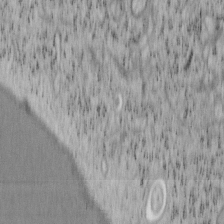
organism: Human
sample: HeLa cells